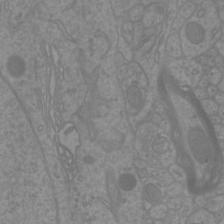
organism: Mouse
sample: Cortical neurons